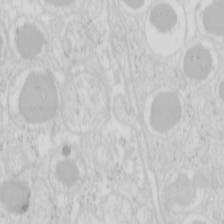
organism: Mouse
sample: Pancreas